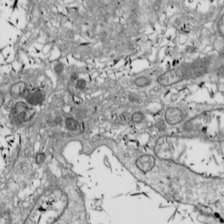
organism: Drosophila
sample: Cell division; meiosis; drosophila spermatocytes